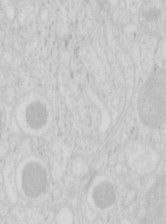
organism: Mouse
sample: Pancreas